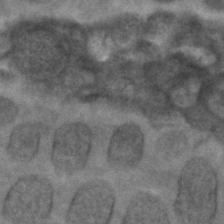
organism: C. elegans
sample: C. elegans embryo